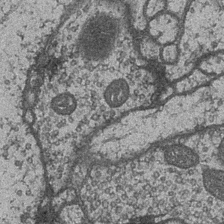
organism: Drosophila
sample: Optic medulla